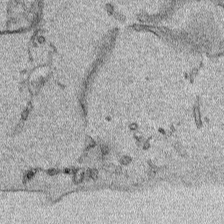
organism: Human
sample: Mitochondria in HCT116 cells